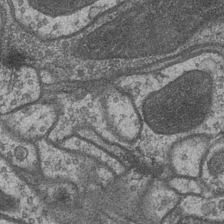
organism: Drosophila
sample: Optic medulla